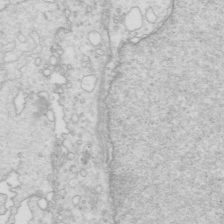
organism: Mouse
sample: Multiciliated cells